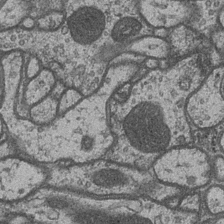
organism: Drosophila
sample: Optic medulla